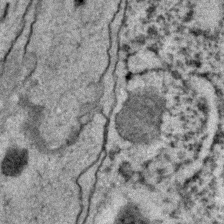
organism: C. elegans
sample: C. elegans embryo